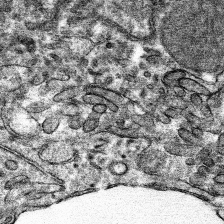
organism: Mouse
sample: Mouse hepatocytes